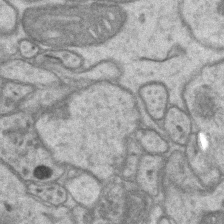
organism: Mouse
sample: CA1 Hippocampus